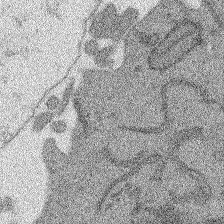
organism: Human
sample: HeLa cells